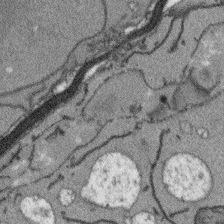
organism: Arabidopsis thaliana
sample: Root tip